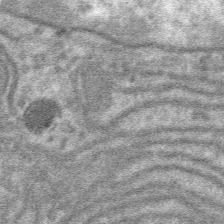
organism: Mouse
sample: Mouse hepatocytes